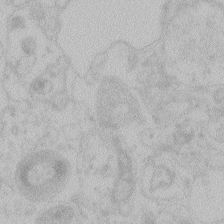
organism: Zebrafish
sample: Macrophage infected with Toxoplasma gondii